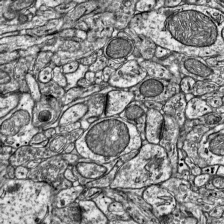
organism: Mouse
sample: Visual Cortex